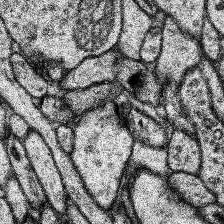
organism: Human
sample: Temporal Lobe